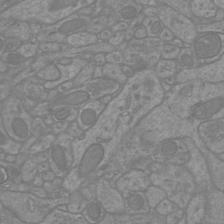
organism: Mouse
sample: Cortical neurons